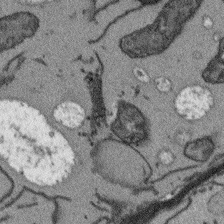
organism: Arabidopsis thaliana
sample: Root tip